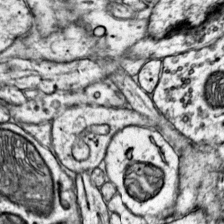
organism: Mouse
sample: Primary visual cortex